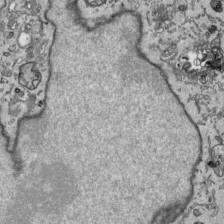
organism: Human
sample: Mitochondria in HCT116 cells